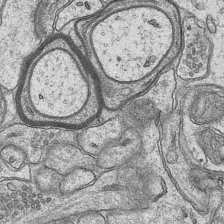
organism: Mouse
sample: CA1 Hippocampus